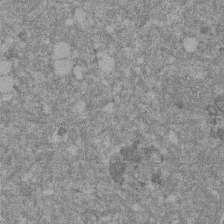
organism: Mouse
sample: Dividing mouse embryo 1 cell stage